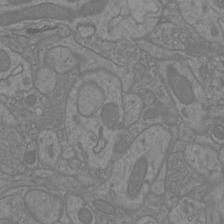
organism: Mouse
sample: Cortical neurons